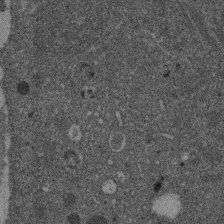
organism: Mouse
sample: Dividing mouse embryo 1 cell stage